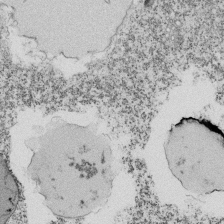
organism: Tetrahymena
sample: Cilia in tetrahymena